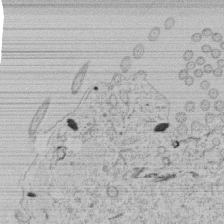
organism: Tetrahymena